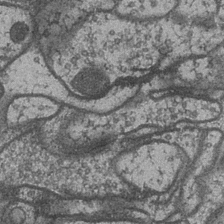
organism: Drosophila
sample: Optic medulla